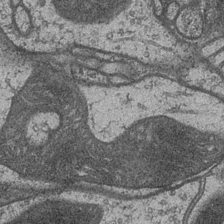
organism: Drosophila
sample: Optic medulla